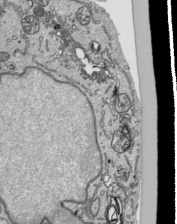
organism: Human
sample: Mitochondria in HCT116 cells